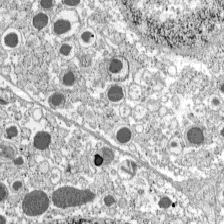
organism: C57BL Mouse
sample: Pancreatic islet